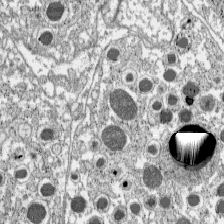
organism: C57BL Mouse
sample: Pancreatic islet